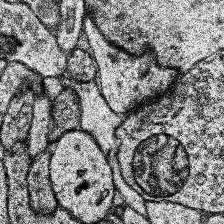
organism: Human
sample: Temporal Lobe